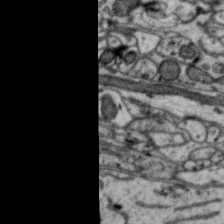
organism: Zebra finch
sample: Brain